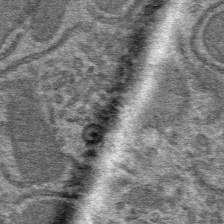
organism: Mouse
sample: Mouse hepatocytes